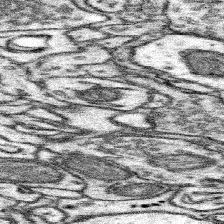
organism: Mouse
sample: Somatosensory cortex neuropil